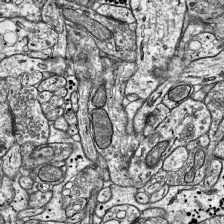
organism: Mouse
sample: Visual Cortex